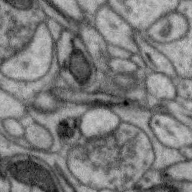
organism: Zebra finch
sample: Brain